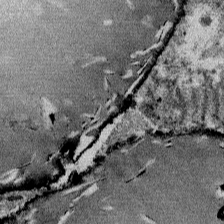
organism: Mouse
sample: Mouse Salivary gland